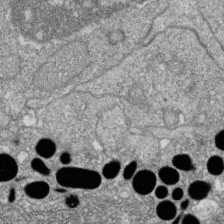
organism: Zebrafish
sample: Cilia; retinal pigment epithelium